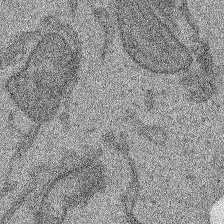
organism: Human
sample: HeLa cells